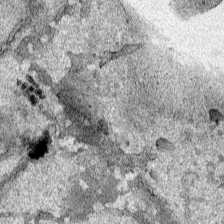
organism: Human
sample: Mitochondria in HCT116 cells